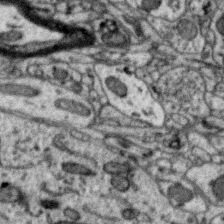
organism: Zebra finch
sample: Brain